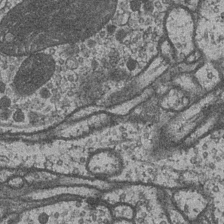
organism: Drosophila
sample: Optic medulla